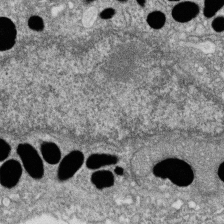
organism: Zebrafish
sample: Cilia; retinal pigment epithelium